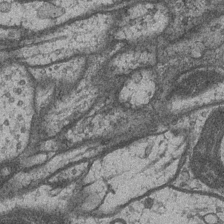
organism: Drosophila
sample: Optic medulla